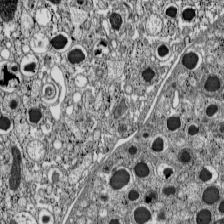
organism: C57BL Mouse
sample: Pancreatic islet